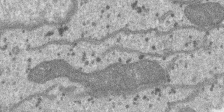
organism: Human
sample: Lung epithelial cells infected with SARS-CoV-2